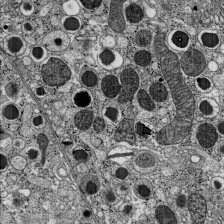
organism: C57BL Mouse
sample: Pancreatic islet